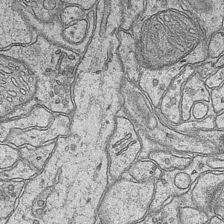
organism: Mouse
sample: CA1 Hippocampus